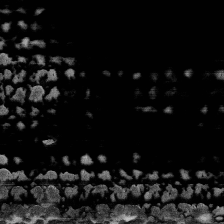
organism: Human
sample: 1205lu cells